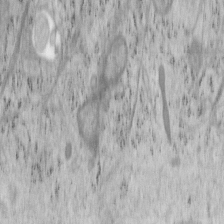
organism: Human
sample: HeLa cells